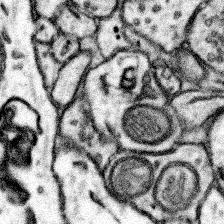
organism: Mouse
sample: Somatosensory cortex neuropil